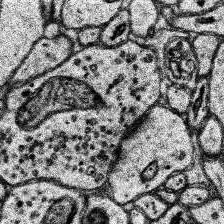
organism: Human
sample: Temporal Lobe